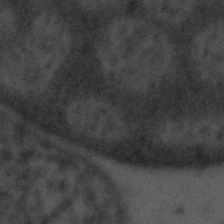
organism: Tuwongella immobilis